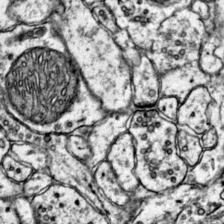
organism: Mouse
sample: Primary visual cortex